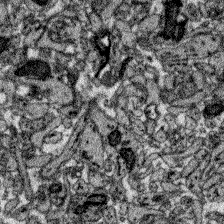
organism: Zebrafish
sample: Larval olfactory bulb